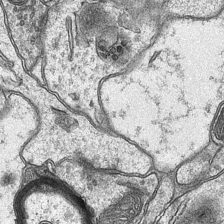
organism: Mouse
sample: CA1 Hippocampus